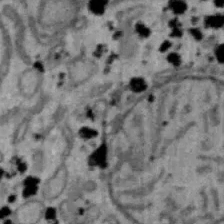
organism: Mouse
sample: Liver